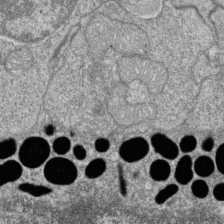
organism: Zebrafish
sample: Cilia; retinal pigment epithelium